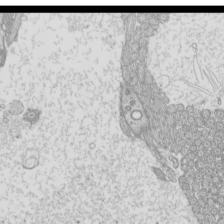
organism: Mouse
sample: Cilia; mouse epididymis